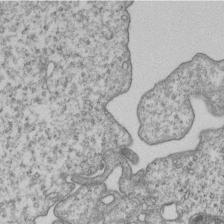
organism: Human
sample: MDA-MB-231 cells